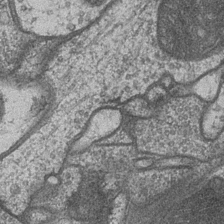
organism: Drosophila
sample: Optic medulla